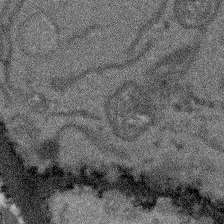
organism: Arabidopsis thaliana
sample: Root tip